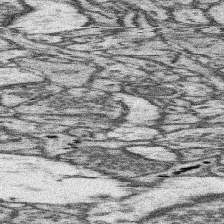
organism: Mouse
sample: Somatosensory cortex neuropil